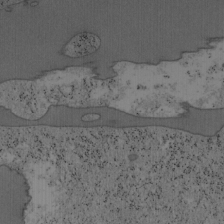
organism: Mouse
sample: OT-I killer T cells with ID8 ovarian cancer cells